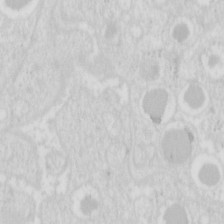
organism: Mouse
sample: Pancreas